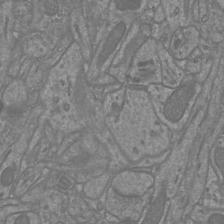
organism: Mouse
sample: Cortical neurons